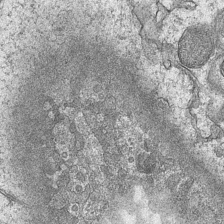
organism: Mouse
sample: CA1 Hippocampus